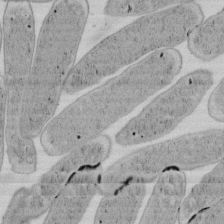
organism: E. coli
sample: Bacterial nucleoid